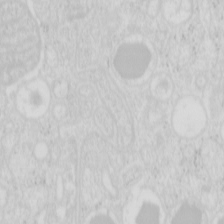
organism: Mouse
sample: Pancreas